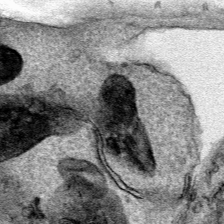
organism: Human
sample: Mitochondria in HCT116 cells